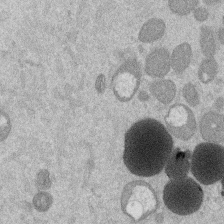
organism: Mouse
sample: Dividing mouse embryo 1 cell stage